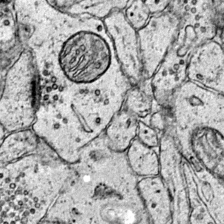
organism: Mouse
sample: Primary visual cortex